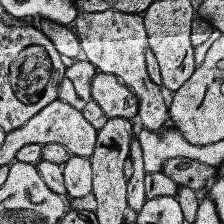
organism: Human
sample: Temporal Lobe